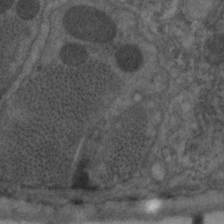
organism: C. elegans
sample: Pharynx